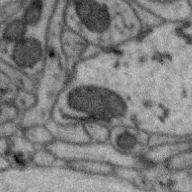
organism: Zebra finch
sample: Brain